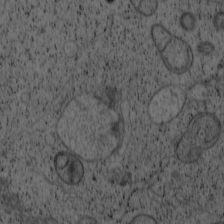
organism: African green monkey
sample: COS-7 cells